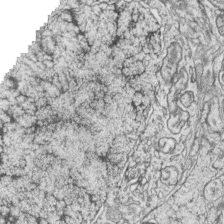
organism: Zebrafish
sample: synaptic ribbons in rod cells and cone cells